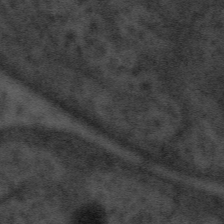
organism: Tuwongella immobilis